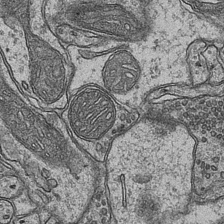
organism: Mouse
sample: CA1 Hippocampus